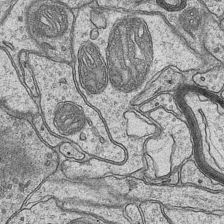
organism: Mouse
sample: CA1 Hippocampus